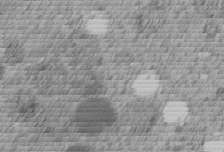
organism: C. elegans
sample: C. elegans embryo early stage